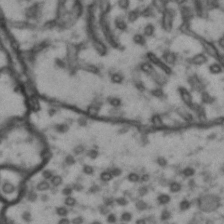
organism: Drosophila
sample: Brain